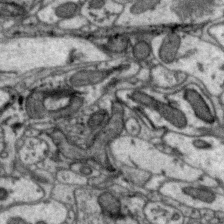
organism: Zebra finch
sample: Brain